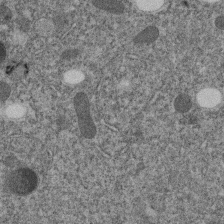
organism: C. elegans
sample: C. elegans embryo early stage